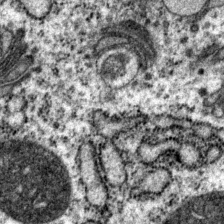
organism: P. pacificus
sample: Pharynx